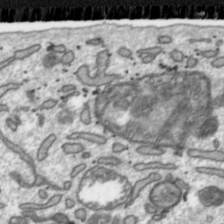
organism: Toxoplasma gondii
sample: Parasites in a vacuole inside a host cell